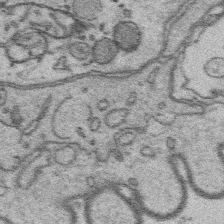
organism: Platynereis dumerilii